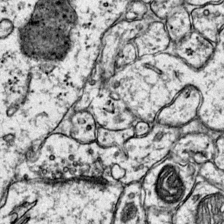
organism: Mouse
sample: Primary visual cortex